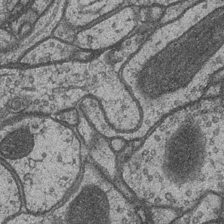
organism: Drosophila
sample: Optic medulla